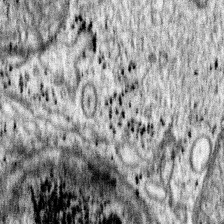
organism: Human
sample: HeLa cells